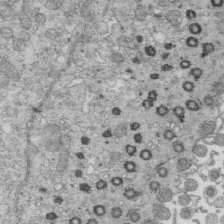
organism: Mouse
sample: Multiciliated cells